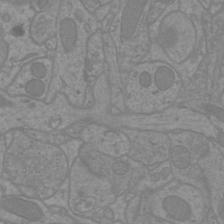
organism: Mouse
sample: Cortical neurons